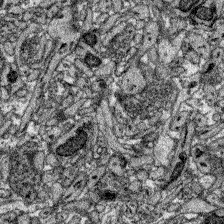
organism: Zebrafish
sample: Larval olfactory bulb